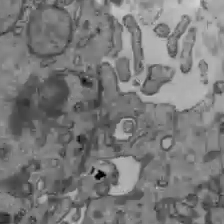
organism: C57BL Mouse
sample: Liver